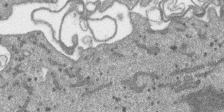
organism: Human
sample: Lung epithelial cells infected with SARS-CoV-2